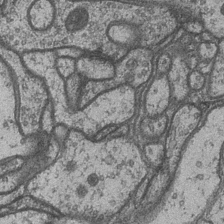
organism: Drosophila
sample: Optic medulla